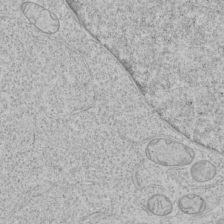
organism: Human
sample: Mitochondria in HCT116 cells